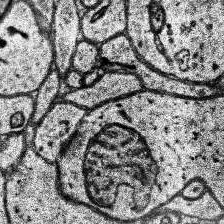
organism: Human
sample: Temporal Lobe